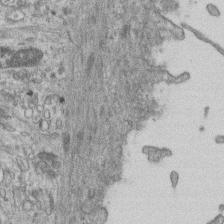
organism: Mouse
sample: Centriole in ependymal cells